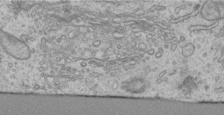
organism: Human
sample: Centriole in RPE cells